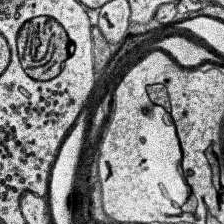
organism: Human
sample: Temporal Lobe